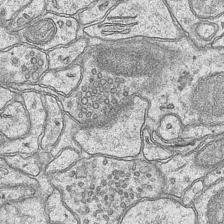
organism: Mouse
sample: CA1 Hippocampus